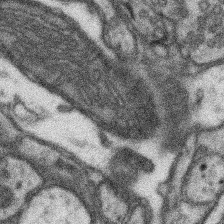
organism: Mouse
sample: Somatosensory cortex neuropil